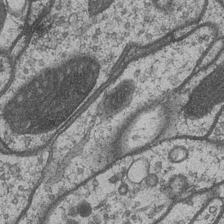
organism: Drosophila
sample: Optic medulla